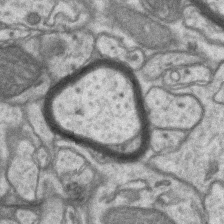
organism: Mouse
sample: CA1 Hippocampus